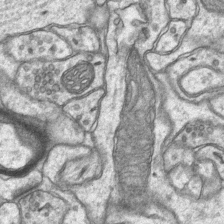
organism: Mouse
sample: CA1 Hippocampus